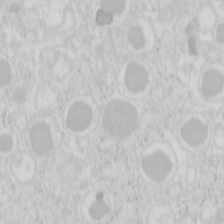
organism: Mouse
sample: Pancreas